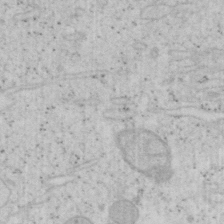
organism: Human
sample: HeLa cells